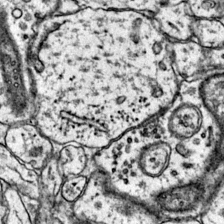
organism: Mouse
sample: Primary visual cortex